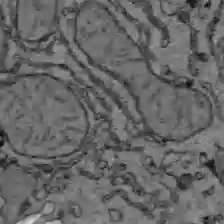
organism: C57BL Mouse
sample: Liver